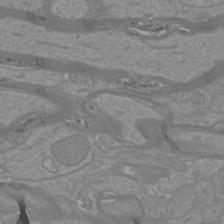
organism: Mouse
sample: Cortical neurons